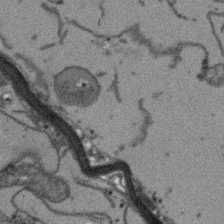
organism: Arabidopsis thaliana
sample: Root tip